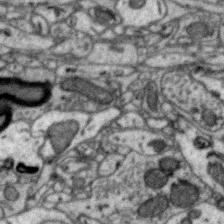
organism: Zebra finch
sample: Brain